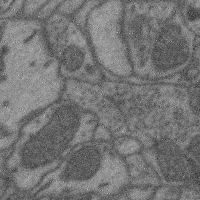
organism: Mouse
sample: Cerebral cortex